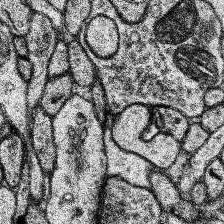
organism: Human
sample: Temporal Lobe